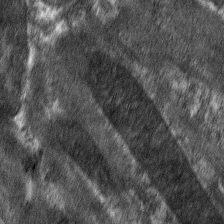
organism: C. elegans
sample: Pharynx